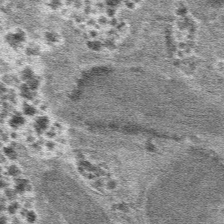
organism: Mouse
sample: Mouse hepatocytes